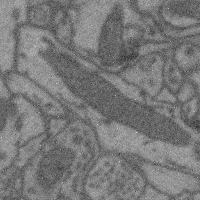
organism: Mouse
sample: Cerebral cortex